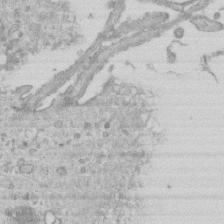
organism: Mouse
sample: Centriole in ependymal cells